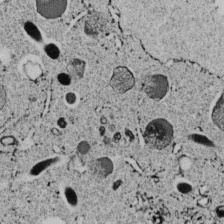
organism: C. elegans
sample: C. elegans embryo early stage